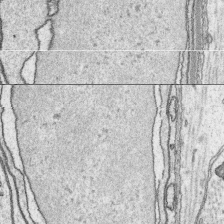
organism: Platynereis dumerilii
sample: Parapodia